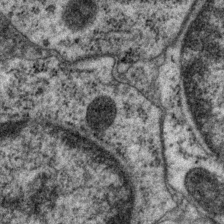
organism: P. pacificus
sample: Pharynx